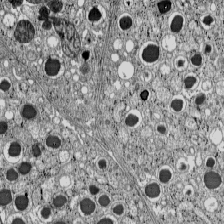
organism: C57BL Mouse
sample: Pancreatic islet